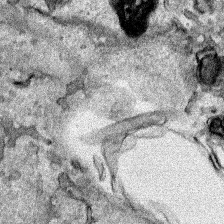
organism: Human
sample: Mitochondria in HCT116 cells